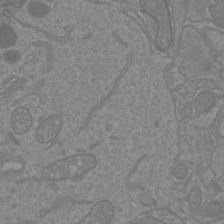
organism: Mouse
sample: Cortical neurons